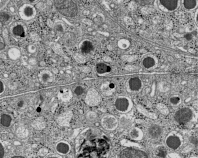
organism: C57BL Mouse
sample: Pancreatic islet